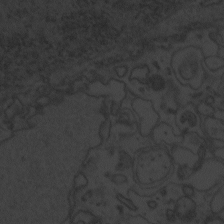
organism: Zebrafish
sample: Macrophage infected with Toxoplasma gondii